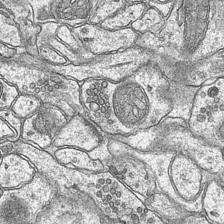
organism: Mouse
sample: CA1 Hippocampus